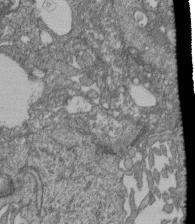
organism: Human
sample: Retinal organoid Rod and Cone cells